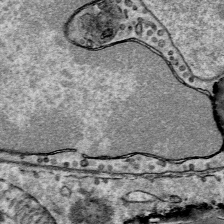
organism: Mouse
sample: Mouse Salivary gland